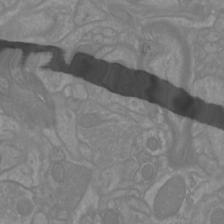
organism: Mouse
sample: Cortical neurons